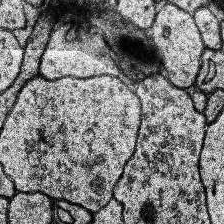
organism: Human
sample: Temporal Lobe